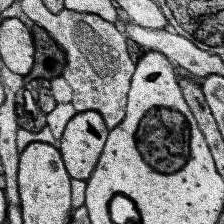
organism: Human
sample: Temporal Lobe